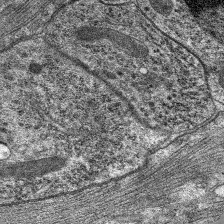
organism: C. elegans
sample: Pharynx